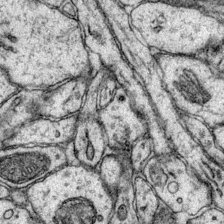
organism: Mouse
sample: Primary visual cortex